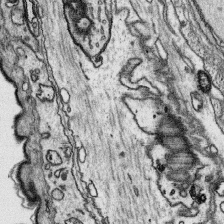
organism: Platynereis dumerilii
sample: Parapodia